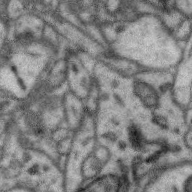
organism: Zebra finch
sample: Brain